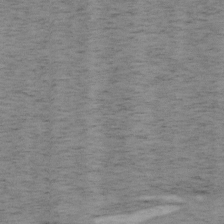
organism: Mouse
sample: OT-I killer T cells with ID8 ovarian cancer cells